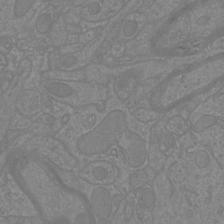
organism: Mouse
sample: Cortical neurons